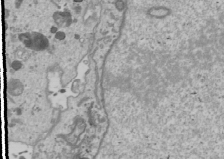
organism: Human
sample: Mitochondria in U2OS cells